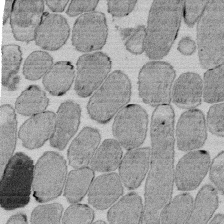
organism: E. coli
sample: Bacterial nucleoid